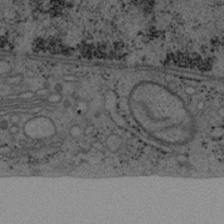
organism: Human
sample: HeLa cells